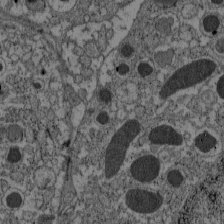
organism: C57BL Mouse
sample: Pancreatic islet